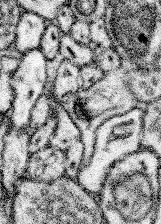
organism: Mouse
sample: Somatosensory cortex neuropil